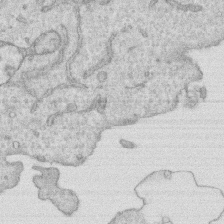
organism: Human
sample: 1205lu cells